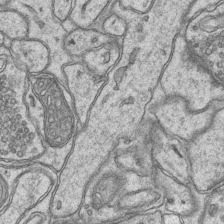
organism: Mouse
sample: CA1 Hippocampus